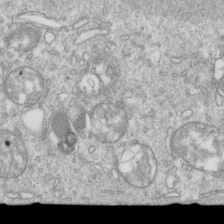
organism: Mouse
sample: Activated OT-1 CD8+ T cells